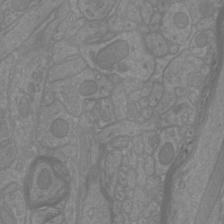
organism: Mouse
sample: Cortical neurons